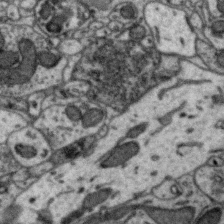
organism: Zebra finch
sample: Brain